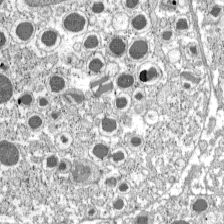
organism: C57BL Mouse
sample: Pancreatic islet